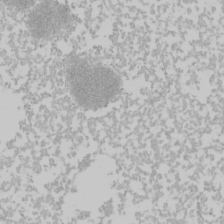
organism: Mouse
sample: Cancer cell death in ED-1 cells